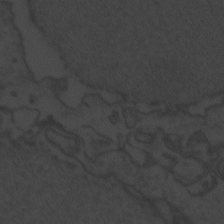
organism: Zebrafish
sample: Macrophage infected with Toxoplasma gondii